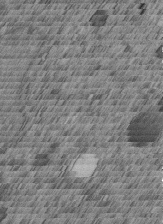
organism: C. elegans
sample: C. elegans embryo early stage